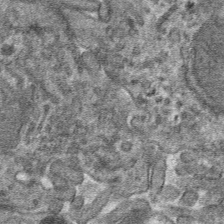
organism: Mouse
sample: Mouse hepatocytes